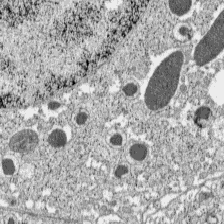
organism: C57BL Mouse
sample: Pancreatic islet